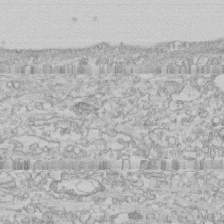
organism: Human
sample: CRL-1474